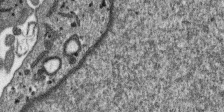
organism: Human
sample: Lung epithelial cells infected with SARS-CoV-2